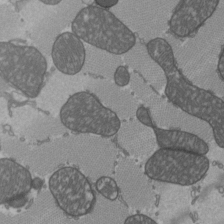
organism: C57BL Mouse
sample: Heart